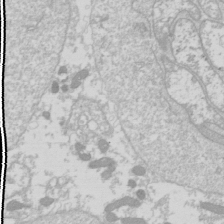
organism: Drosophila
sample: Cell division; meiosis; drosophila spermatocytes